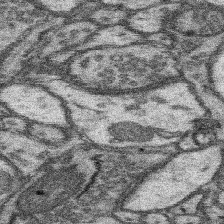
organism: Mouse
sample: Somatosensory cortex neuropil